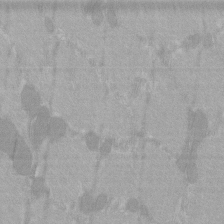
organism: C57BL Mouse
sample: Tibialis anterior muscle cell